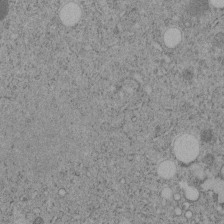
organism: C. elegans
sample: C. elegans embryo early stage